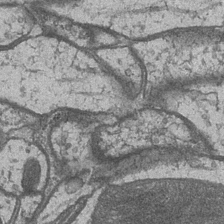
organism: Drosophila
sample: Optic medulla